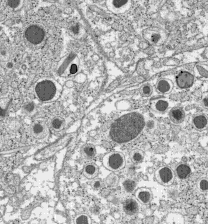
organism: C57BL Mouse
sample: Pancreatic islet